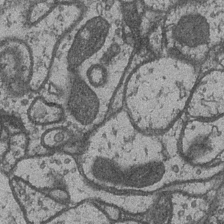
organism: Drosophila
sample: Optic medulla